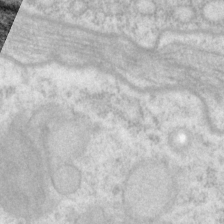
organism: P. pacificus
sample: Pharynx